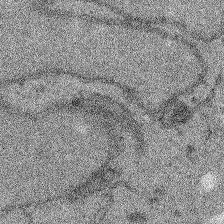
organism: Human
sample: HeLa cells